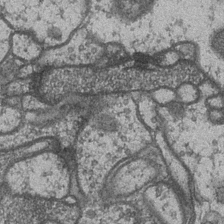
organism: Drosophila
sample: Optic medulla